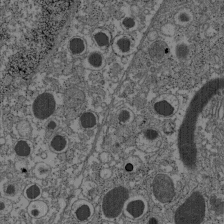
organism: C57BL Mouse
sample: Pancreatic islet